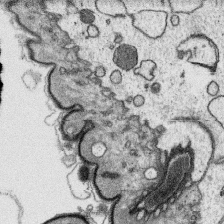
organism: Platynereis dumerilii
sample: Parapodia